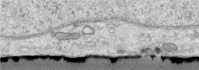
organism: Human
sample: Centriole in RPE cells